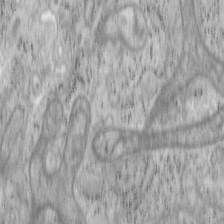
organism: Human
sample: HeLa cells